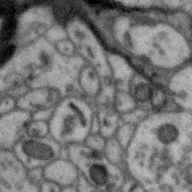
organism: Zebra finch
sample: Brain